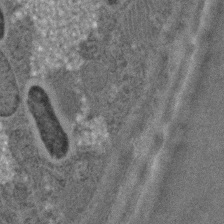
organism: C. elegans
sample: C. elegans embryo